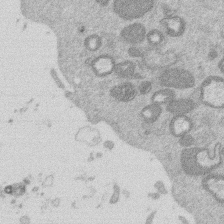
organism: Mouse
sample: Dividing mouse embryo 1 cell stage